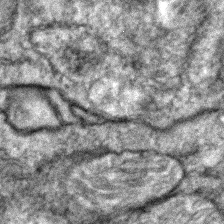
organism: Zebrafish